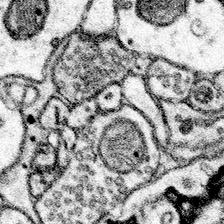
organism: Mouse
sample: Somatosensory cortex neuropil